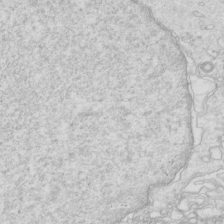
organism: Mouse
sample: Multiciliated cells